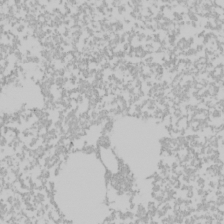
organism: Mouse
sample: Cancer cell death in ED-1 cells